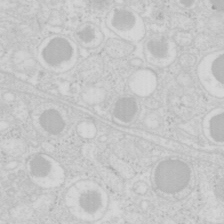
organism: Mouse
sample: Pancreas